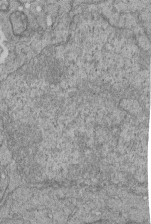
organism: Human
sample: Retinal organoid Rod and Cone cells